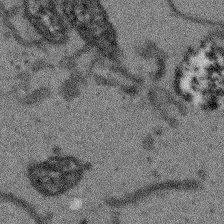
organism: Arabidopsis thaliana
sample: Root tip